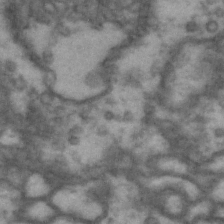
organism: Drosophila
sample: Brain